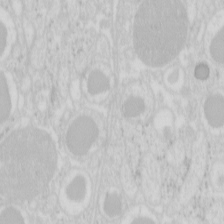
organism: Mouse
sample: Pancreas